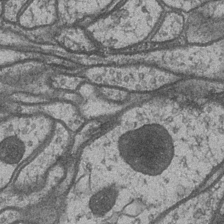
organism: Drosophila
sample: Optic medulla